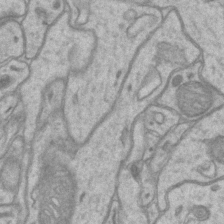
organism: Mouse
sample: CA1 Hippocampus